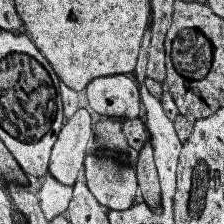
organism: Human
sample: Temporal Lobe